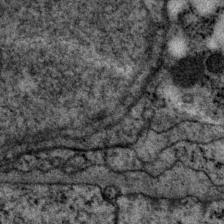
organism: P. pacificus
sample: Pharynx